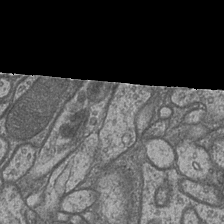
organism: Drosophila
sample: Optic medulla